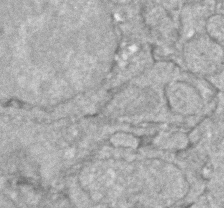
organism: Zebrafish